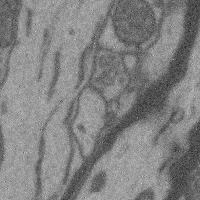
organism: Mouse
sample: Cerebral cortex